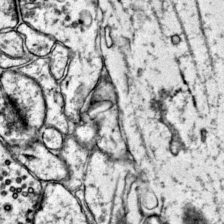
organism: Mouse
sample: Primary visual cortex